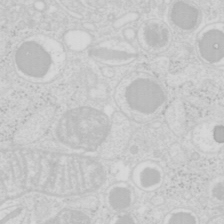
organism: Mouse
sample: Pancreas